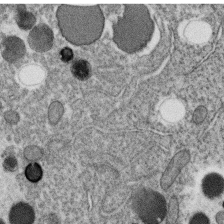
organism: C. elegans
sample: C. elegans oocyte; sperm cells